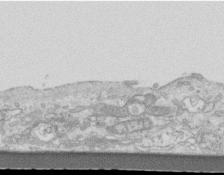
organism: Mouse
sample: Centriole in ependymal cells